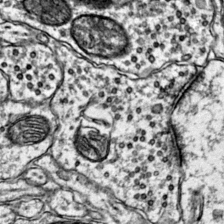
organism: Mouse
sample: Primary visual cortex